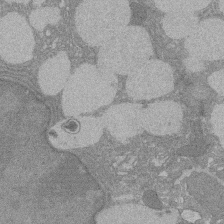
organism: Rat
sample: Salivary granule